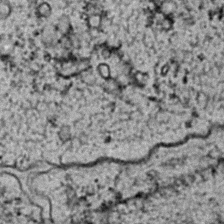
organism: C. elegans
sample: C. elegans embryo